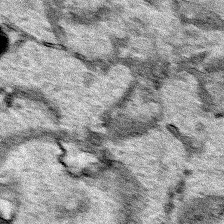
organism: Human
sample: Mitochondria in HCT116 cells